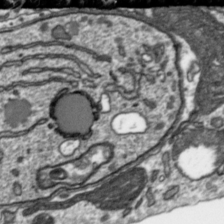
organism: Toxoplasma gondii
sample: Parasites in a vacuole inside a host cell